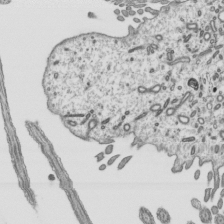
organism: Mouse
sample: Mouse epididymis efferent ductule cilia